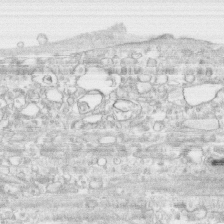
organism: Human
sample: CRL-1474